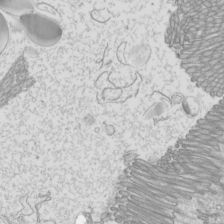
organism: Mouse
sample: Cilia; mouse epididymis